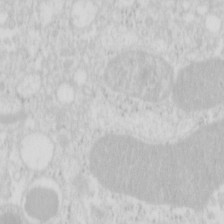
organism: Mouse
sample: Pancreas